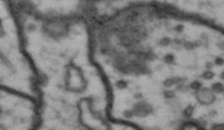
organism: Drosophila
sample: Brain